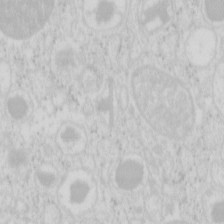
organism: Mouse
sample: Pancreas